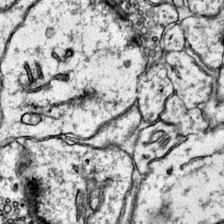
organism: Mouse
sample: Primary visual cortex